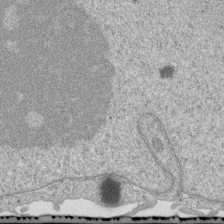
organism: Human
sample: HeLa cell HIV synapse